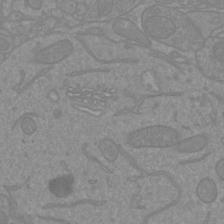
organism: Mouse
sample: Cortical neurons